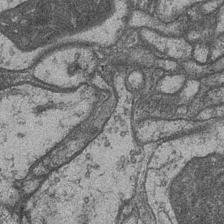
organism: Drosophila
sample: Optic medulla